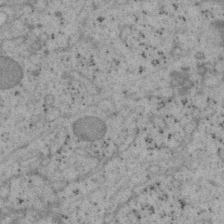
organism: Human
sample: HeLa cells